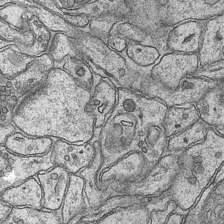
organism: Mouse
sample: CA1 Hippocampus